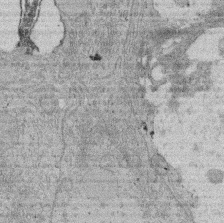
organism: Rat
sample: Salivary granule